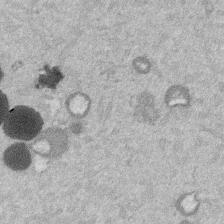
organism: Mouse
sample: Dividing mouse embryo 1 cell stage